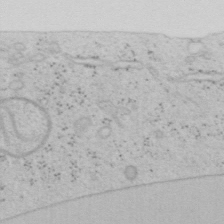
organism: Human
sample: HeLa cells